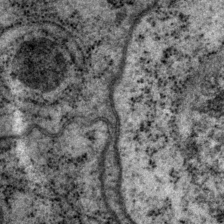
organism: P. pacificus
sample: Pharynx